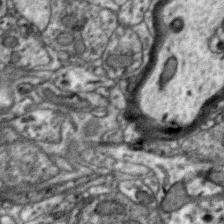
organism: Zebra finch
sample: Brain